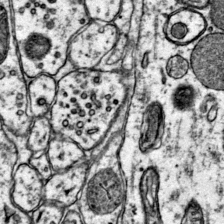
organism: Mouse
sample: Primary visual cortex